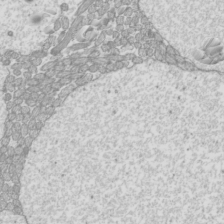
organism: Mouse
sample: Cilia; mouse epididymis